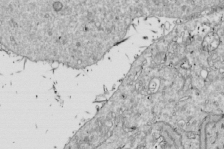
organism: Drosophila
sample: Cell division; meiosis; drosophila spermatocytes